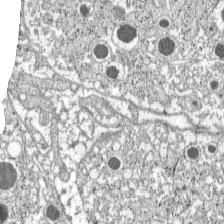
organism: C57BL Mouse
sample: Pancreatic islet